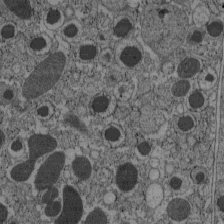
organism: C57BL Mouse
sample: Pancreatic islet